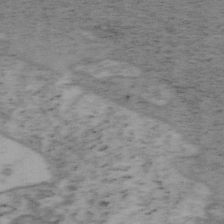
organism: Mouse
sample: OT-I killer T cells with ID8 ovarian cancer cells